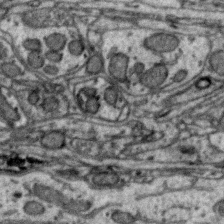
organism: Zebra finch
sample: Brain